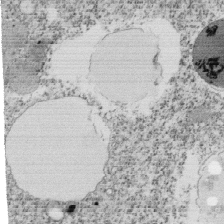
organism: Tetrahymena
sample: Cilia in tetrahymena